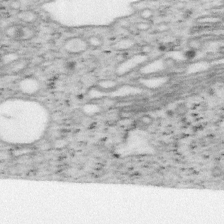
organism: Mouse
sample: OT-I killer T cells with ID8 ovarian cancer cells